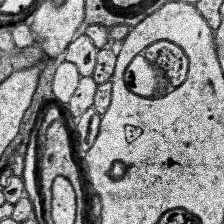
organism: Human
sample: Temporal Lobe